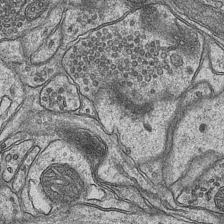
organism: Mouse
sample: CA1 Hippocampus